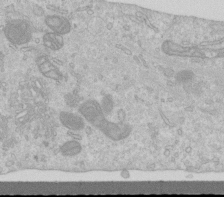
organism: Human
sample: Centriole in RPE cells